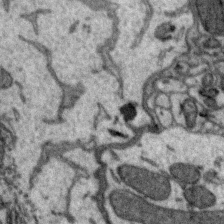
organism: Zebra finch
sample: Brain